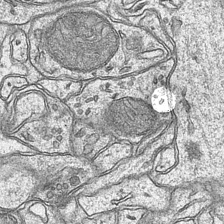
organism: Mouse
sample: CA1 Hippocampus